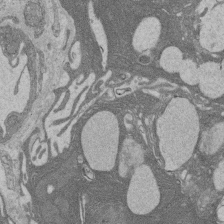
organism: Rat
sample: Salivary granule